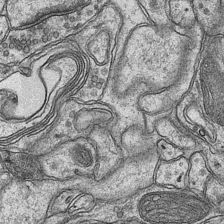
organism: Mouse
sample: CA1 Hippocampus